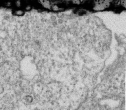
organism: Human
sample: HeLa cell HIV synapse